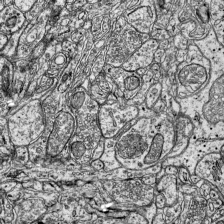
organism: Mouse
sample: Visual Cortex